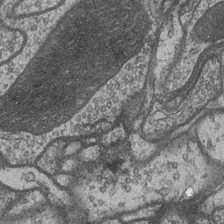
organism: Drosophila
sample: Optic medulla